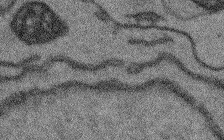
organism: Arabidopsis thaliana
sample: Root tip